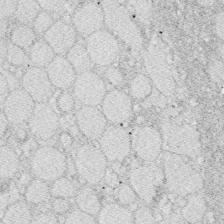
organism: Zebrafish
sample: Whole-Brain